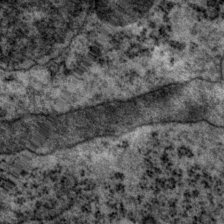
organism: P. pacificus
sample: Pharynx